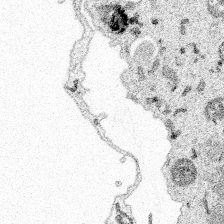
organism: Spongilla lacustris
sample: Multiple